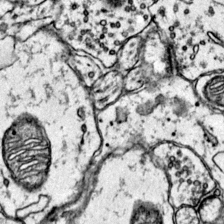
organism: Mouse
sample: Primary visual cortex